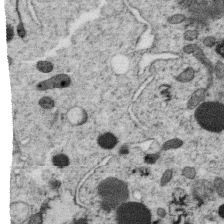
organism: C. elegans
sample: C. elegans oocyte; sperm cells